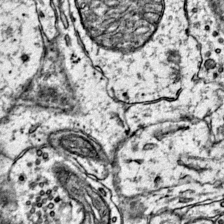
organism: Mouse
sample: Primary visual cortex